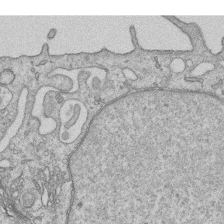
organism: Human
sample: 1205lu cells